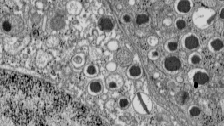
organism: C57BL Mouse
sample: Pancreatic islet